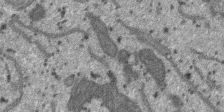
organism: Human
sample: Lung epithelial cells infected with SARS-CoV-2